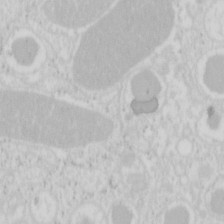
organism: Mouse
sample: Pancreas